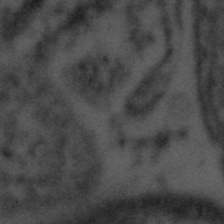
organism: Tuwongella immobilis